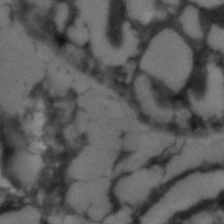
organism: C. elegans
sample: C. elegans embryo